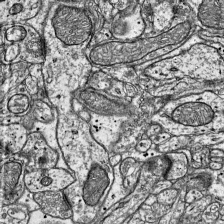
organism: Mouse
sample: Visual Cortex